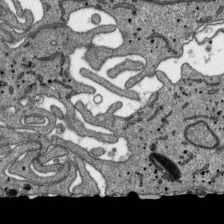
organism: Human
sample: Lung epithelial cells, uninfected (mock) control